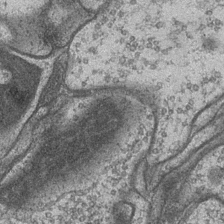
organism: Drosophila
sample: Optic medulla